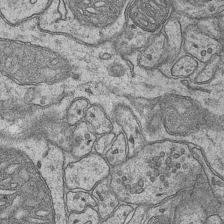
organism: Mouse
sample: CA1 Hippocampus